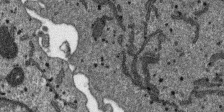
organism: Human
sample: Lung epithelial cells infected with SARS-CoV-2